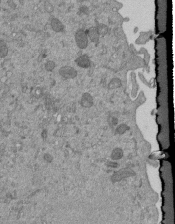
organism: Mouse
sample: ED-1 cell nuclei; centrioles